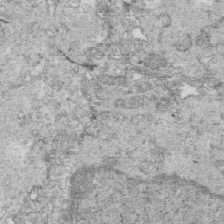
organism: Mouse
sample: Multiciliated cells